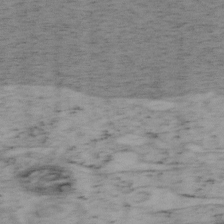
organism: Mouse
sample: OT-I killer T cells with ID8 ovarian cancer cells